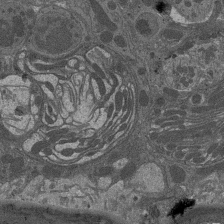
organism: Drosophila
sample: Antenna